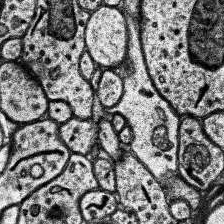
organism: Human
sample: Temporal Lobe